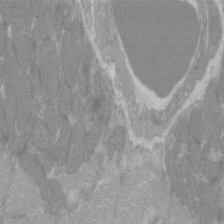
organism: C57BL Mouse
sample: Tibialis anterior muscle cell